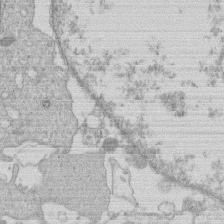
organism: Human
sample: Macrophage cells